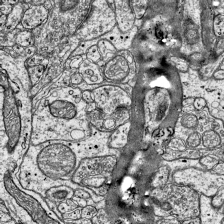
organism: Mouse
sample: Visual Cortex